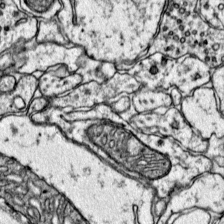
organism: Mouse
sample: Primary visual cortex